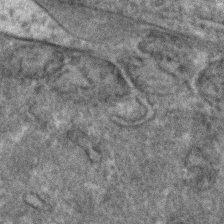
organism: C. elegans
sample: C. elegans embryo